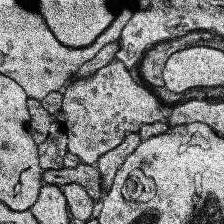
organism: Human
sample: Temporal Lobe